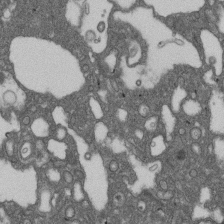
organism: Drosophila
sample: Nephrocyte